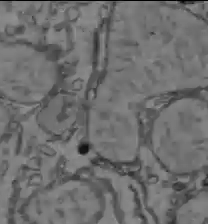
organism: C57BL Mouse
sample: Liver